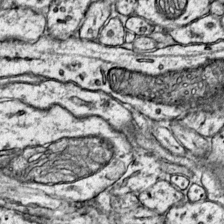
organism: Mouse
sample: Primary visual cortex